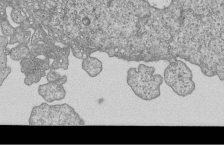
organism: Human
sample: MDA-MB-231 cells